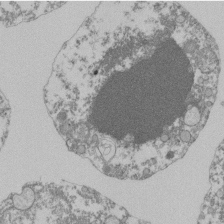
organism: Mouse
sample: Activated Pmel transgenic CD8+ T Cells